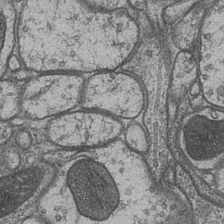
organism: Drosophila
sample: Optic medulla